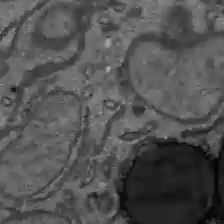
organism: C57BL Mouse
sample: Liver